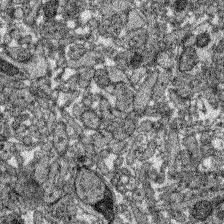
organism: Zebrafish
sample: Larval olfactory bulb